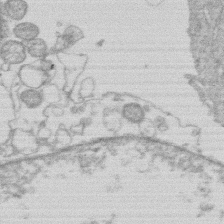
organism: Human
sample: Macrophage cells